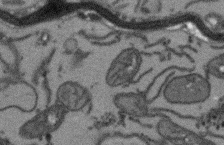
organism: Arabidopsis thaliana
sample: Root tip